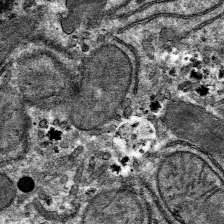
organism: Mouse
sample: Mouse hepatocytes